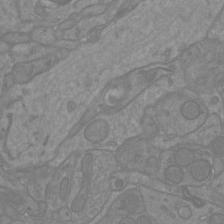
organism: Mouse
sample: Cortical neurons